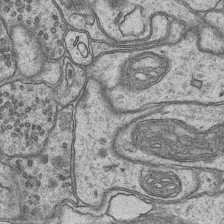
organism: Mouse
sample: CA1 Hippocampus